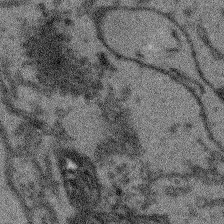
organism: Arabidopsis thaliana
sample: Root tip